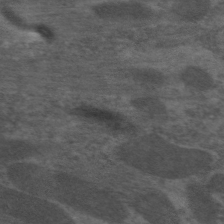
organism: C. elegans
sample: Pharynx